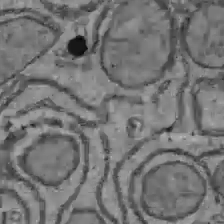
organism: C57BL Mouse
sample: Liver